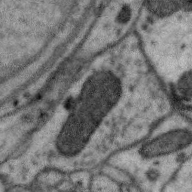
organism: Zebra finch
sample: Brain